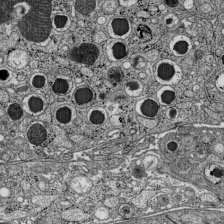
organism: C57BL Mouse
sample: Pancreatic islet